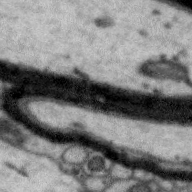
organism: Zebra finch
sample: Brain